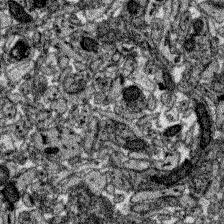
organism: Zebrafish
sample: Larval olfactory bulb